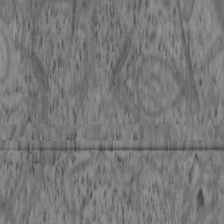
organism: Human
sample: HeLa cells